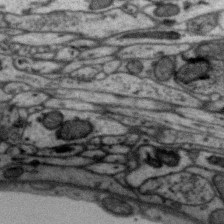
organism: Zebra finch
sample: Brain